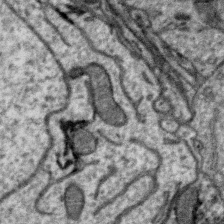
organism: Zebra finch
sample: Brain